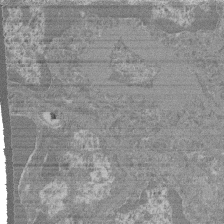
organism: Mouse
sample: Glomerulus